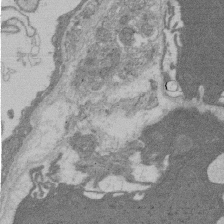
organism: Rat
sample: Salivary granule